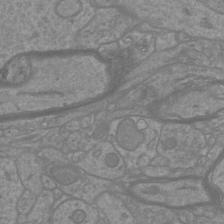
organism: Mouse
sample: Cortical neurons